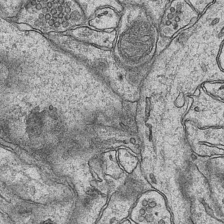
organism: Mouse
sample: CA1 Hippocampus